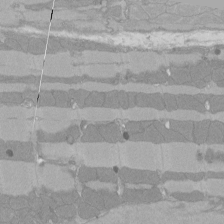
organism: Rat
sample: Left ventricle